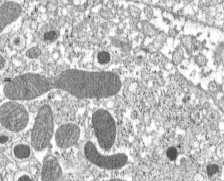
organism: C57BL Mouse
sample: Pancreatic islet